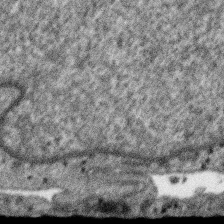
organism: Human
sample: Lung epithelial cells infected with SARS-CoV-2